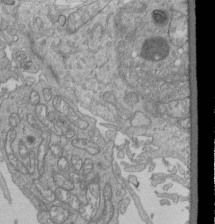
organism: Human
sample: Retinal organoid Rod and Cone cells